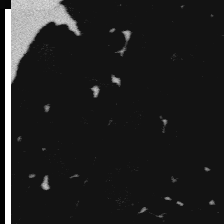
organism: Platynereis dumerilii